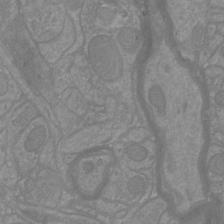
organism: Mouse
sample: Cortical neurons